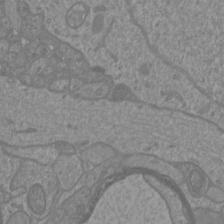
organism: Mouse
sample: Cortical neurons